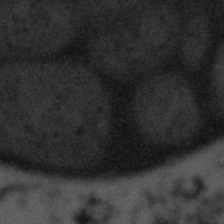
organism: Tuwongella immobilis